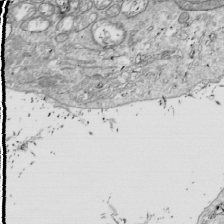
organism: Drosophila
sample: Cell division; meiosis; drosophila spermatocytes